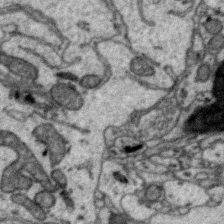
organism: Zebra finch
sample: Brain